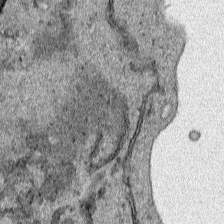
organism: Human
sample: Mitochondria in HCT116 cells